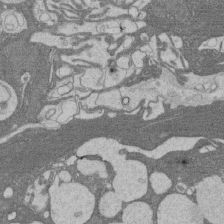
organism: Rat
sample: Salivary granule